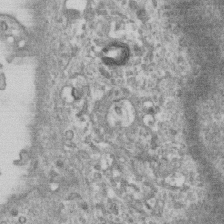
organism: Human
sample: Centriole in RPE cells